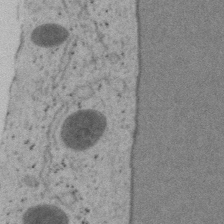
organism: Human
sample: HeLa cells